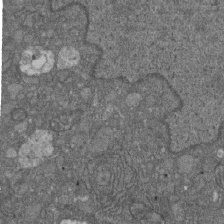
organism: Drosophila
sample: Nephrocyte